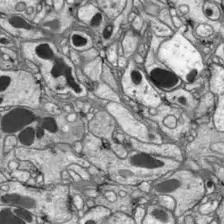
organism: Drosophila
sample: Optic lobe